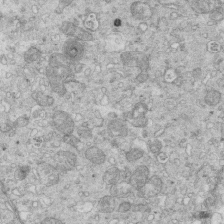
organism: Mouse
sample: Multiciliated cells